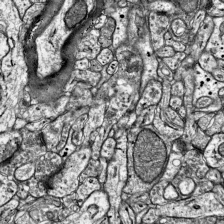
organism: Mouse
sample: Visual Cortex